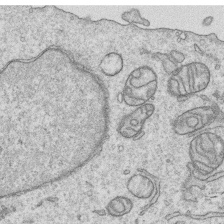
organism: Human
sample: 1205lu cells